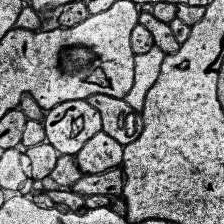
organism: Human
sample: Temporal Lobe